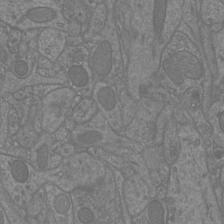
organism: Mouse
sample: Cortical neurons